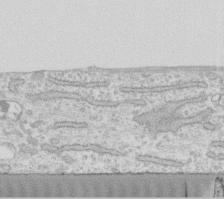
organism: Human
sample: Fibroblast cells